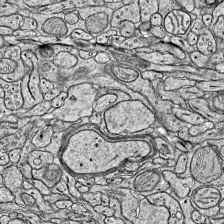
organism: Mouse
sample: Visual Cortex